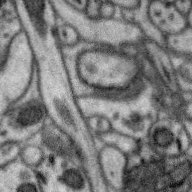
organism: Zebra finch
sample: Brain